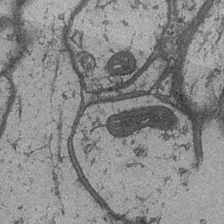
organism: Drosophila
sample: Optic medulla